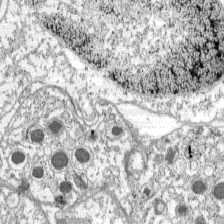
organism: C57BL Mouse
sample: Pancreatic islet